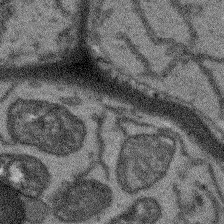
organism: Arabidopsis thaliana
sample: Root tip